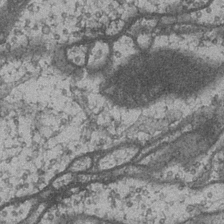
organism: Drosophila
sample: Optic medulla